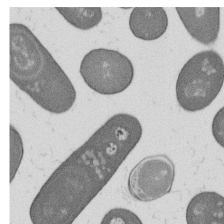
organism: B. subtilis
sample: Bacterial spore